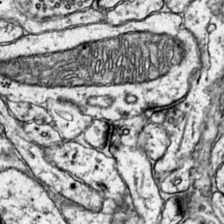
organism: Mouse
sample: Primary visual cortex